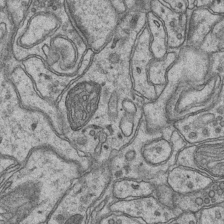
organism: Mouse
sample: CA1 Hippocampus